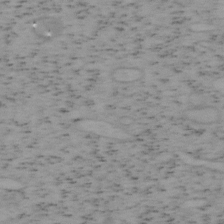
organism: Mouse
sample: OT-I killer T cells with ID8 ovarian cancer cells